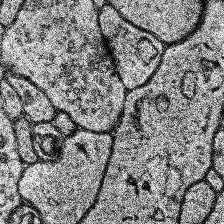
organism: Human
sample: Temporal Lobe